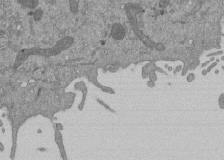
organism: Mouse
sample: ED-1 cell nuclei; centrioles